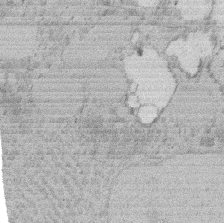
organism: Rat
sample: Salivary granule